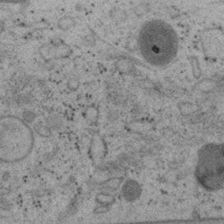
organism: Human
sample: HeLa cells